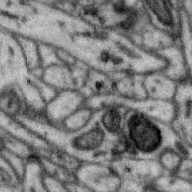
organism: Zebra finch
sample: Brain